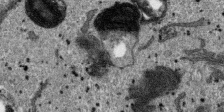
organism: Human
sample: Lung epithelial cells, uninfected (mock) control